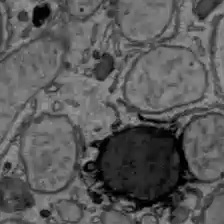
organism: C57BL Mouse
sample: Liver